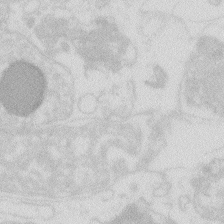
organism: Zebrafish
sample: Macrophage